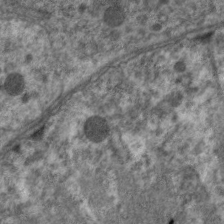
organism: C. elegans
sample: Pharynx